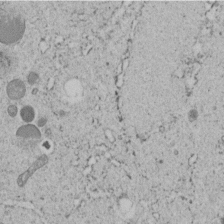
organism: C. elegans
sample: C. elegans embryo early stage